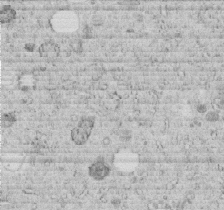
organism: C. elegans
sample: C. elegans embryo early stage